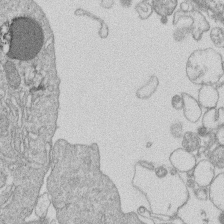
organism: Human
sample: Macrophage cells